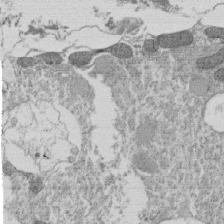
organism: Tetrahymena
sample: Cilia in tetrahymena